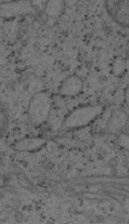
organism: Human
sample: HeLa cells